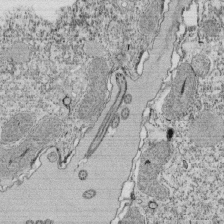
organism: Tetrahymena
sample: Cilia in tetrahymena